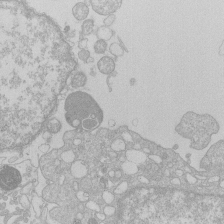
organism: Human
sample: Macrophage cells